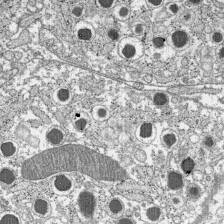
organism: C57BL Mouse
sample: Pancreatic islet